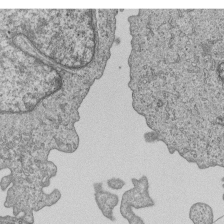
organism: Human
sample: MDA-MB-231 cells